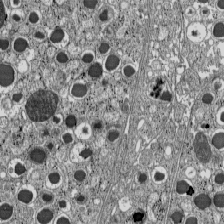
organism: C57BL Mouse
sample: Pancreatic islet